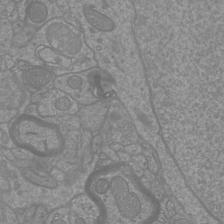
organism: Mouse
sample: Cortical neurons